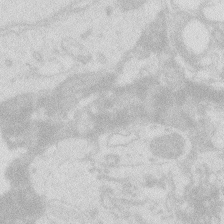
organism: Zebrafish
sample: Macrophage